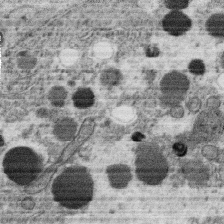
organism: C. elegans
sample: C. elegans oocyte; sperm cells